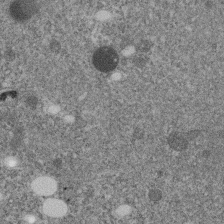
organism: C. elegans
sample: C. elegans embryo early stage